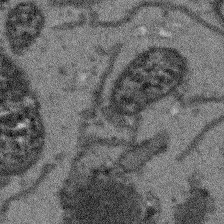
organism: Arabidopsis thaliana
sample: Root tip